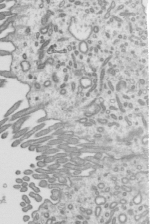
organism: Mouse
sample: Mouse epididymis efferent ductule cilia